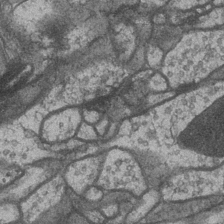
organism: Drosophila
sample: Optic medulla